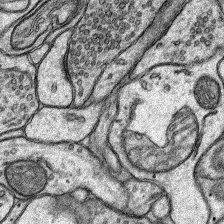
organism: Rat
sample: Hippocampus